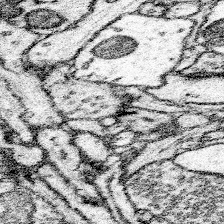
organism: Mouse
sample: Somatosensory cortex neuropil